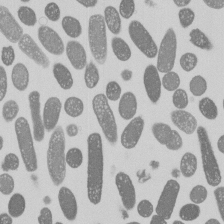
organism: E. coli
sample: Bacterial nucleoid